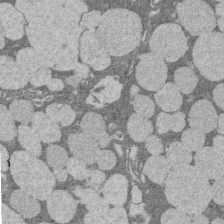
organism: Rat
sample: Salivary granule